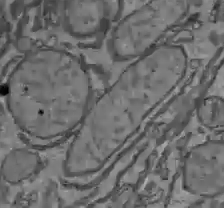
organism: C57BL Mouse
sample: Liver